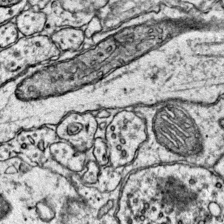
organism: Mouse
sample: Primary visual cortex